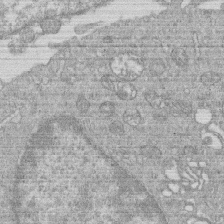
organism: Human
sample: Macrophage cells